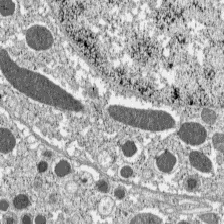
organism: C57BL Mouse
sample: Pancreatic islet